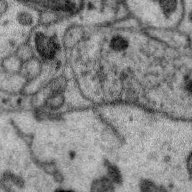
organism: Zebra finch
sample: Brain